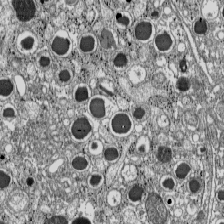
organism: C57BL Mouse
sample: Pancreatic islet